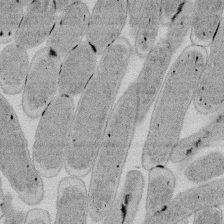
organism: E. coli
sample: Bacterial nucleoid